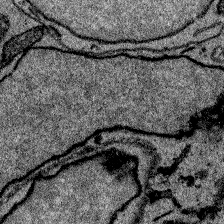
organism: Zebrafish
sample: Larval olfactory bulb